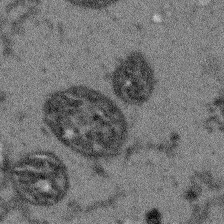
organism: Arabidopsis thaliana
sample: Root tip